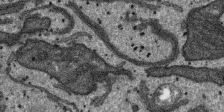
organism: Human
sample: Lung epithelial cells, uninfected (mock) control